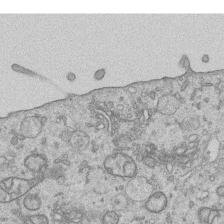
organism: Human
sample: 1205lu cells